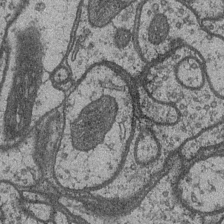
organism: Drosophila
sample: Optic medulla